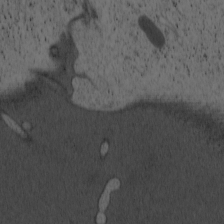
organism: African green monkey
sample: COS-7 cells